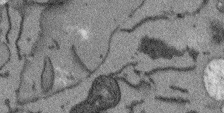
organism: Arabidopsis thaliana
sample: Root tip